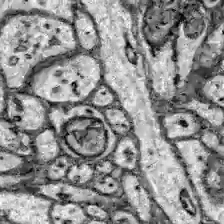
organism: Zebrafish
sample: Brain